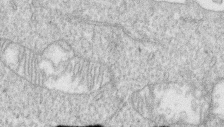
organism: Human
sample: HeLa cell HIV synapse